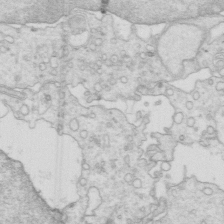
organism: Mouse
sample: Multiciliated cells